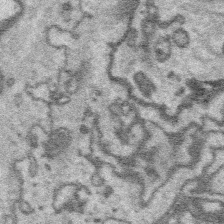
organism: Platynereis dumerilii